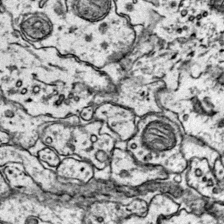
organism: Mouse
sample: Primary visual cortex